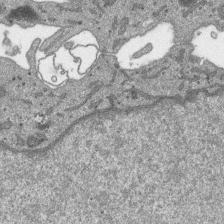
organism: Human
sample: Lung epithelial cells infected with SARS-CoV-2